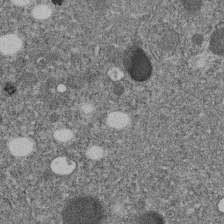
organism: C. elegans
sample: C. elegans embryo early stage